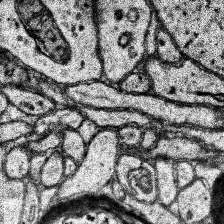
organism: Human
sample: Temporal Lobe